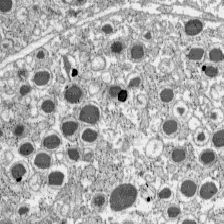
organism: C57BL Mouse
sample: Pancreatic islet